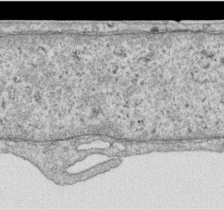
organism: Human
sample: Centriole in RPE cells